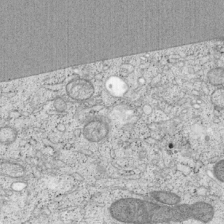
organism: African green monkey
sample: COS-7 cells